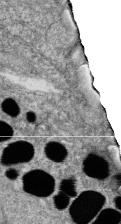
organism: Zebrafish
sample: Cilia; retinal pigment epithelium